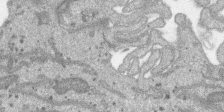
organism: Human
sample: Lung epithelial cells infected with SARS-CoV-2